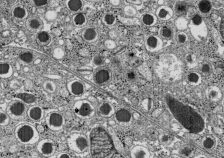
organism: C57BL Mouse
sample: Pancreatic islet